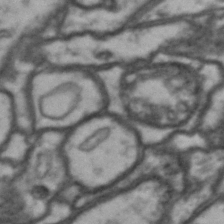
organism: Drosophila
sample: Brain